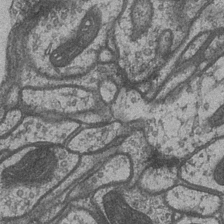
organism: Drosophila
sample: Optic medulla